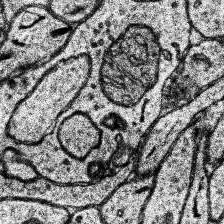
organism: Human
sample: Temporal Lobe